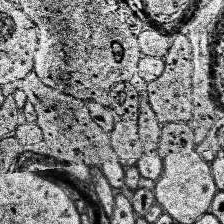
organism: Human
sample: Temporal Lobe